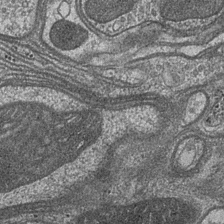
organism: Drosophila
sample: Optic medulla